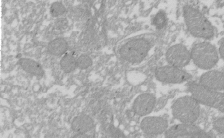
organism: Xenopus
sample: Cilia; centrioles in frog embryo cells